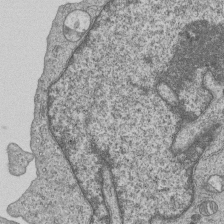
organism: Human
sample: MDA-MB-231 cells